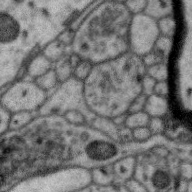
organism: Zebra finch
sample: Brain